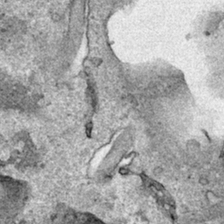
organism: Human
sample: Mitochondria in HCT116 cells